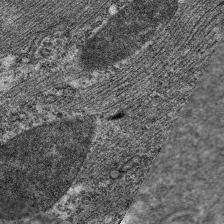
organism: C. elegans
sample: Pharynx